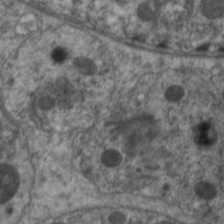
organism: C. elegans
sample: Pharynx